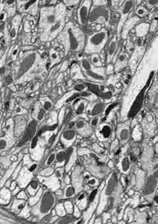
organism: Drosophila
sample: Optic lobe